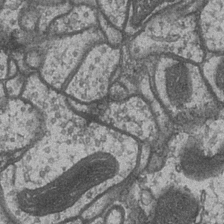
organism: Drosophila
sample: Optic medulla